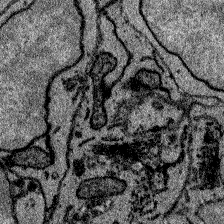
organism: Zebrafish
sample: Larval olfactory bulb